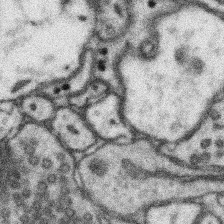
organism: Mouse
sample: Somatosensory cortex neuropil